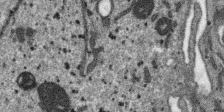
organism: Human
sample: Lung epithelial cells infected with SARS-CoV-2